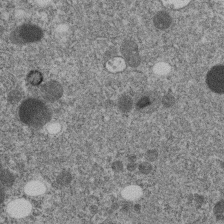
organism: C. elegans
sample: C. elegans embryo early stage